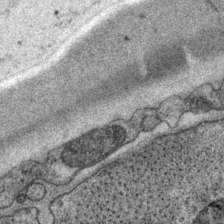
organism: P. pacificus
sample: Pharynx